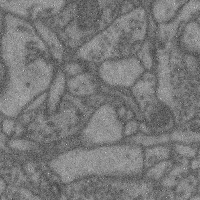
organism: Mouse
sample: Cerebral cortex